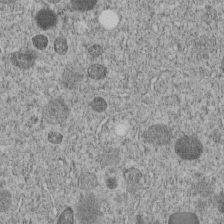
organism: C. elegans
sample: C. elegans embryo early stage